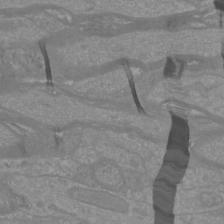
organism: Mouse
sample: Cortical neurons